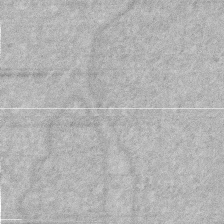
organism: Human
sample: HIV infected U937 cells